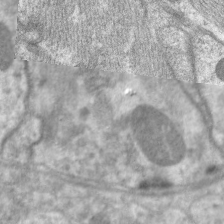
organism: C. elegans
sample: Pharynx